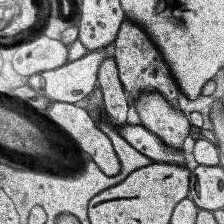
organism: Human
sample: Temporal Lobe